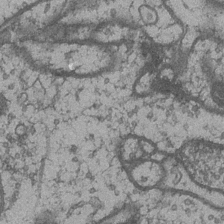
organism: Drosophila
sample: Optic medulla